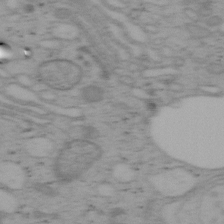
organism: Mouse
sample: OT-I killer T cells with ID8 ovarian cancer cells